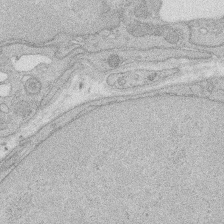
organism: Rat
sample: Salivary granule